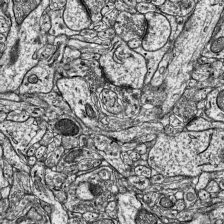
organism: Mouse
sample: Visual Cortex